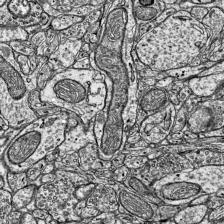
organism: Mouse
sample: Visual Cortex